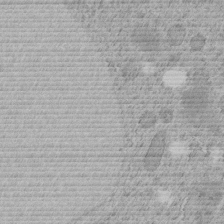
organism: C. elegans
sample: C. elegans embryo early stage